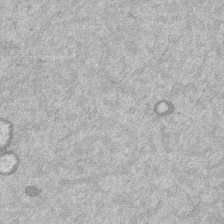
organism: Mouse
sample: Dividing mouse embryo 1 cell stage